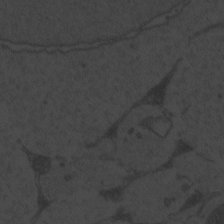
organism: Zebrafish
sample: Macrophage infected with Toxoplasma gondii